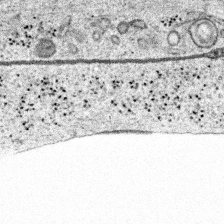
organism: Human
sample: HeLa cells